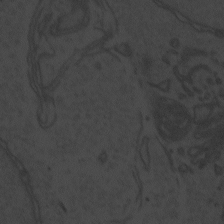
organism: Zebrafish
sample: Macrophage infected with Toxoplasma gondii